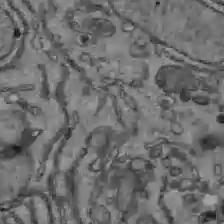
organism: C57BL Mouse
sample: Liver